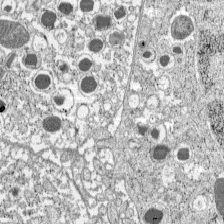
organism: C57BL Mouse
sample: Pancreatic islet